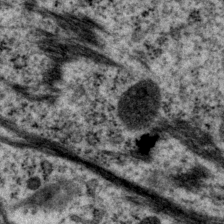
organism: P. pacificus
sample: Pharynx